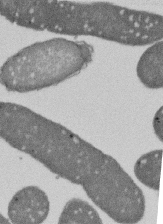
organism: E. coli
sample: Bacterial nucleoid